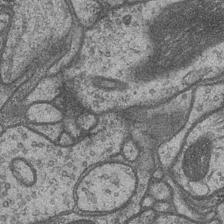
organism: Drosophila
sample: Optic medulla